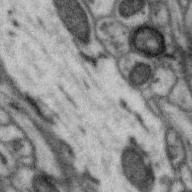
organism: Zebra finch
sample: Brain